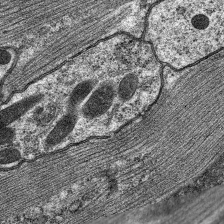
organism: C. elegans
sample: Pharynx